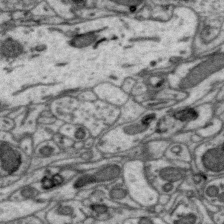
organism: Zebra finch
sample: Brain